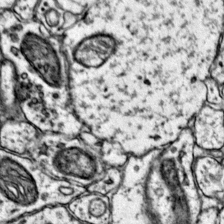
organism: Mouse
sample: Primary visual cortex